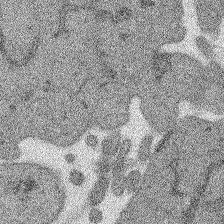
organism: Human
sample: HeLa cells